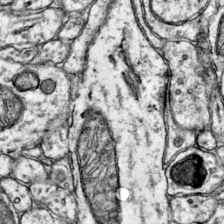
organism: Mouse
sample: Primary visual cortex